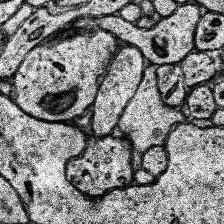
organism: Human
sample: Temporal Lobe